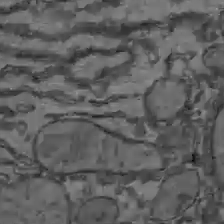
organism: C57BL Mouse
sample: Liver